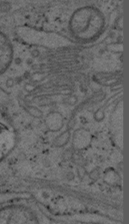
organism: Human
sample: HeLa cells